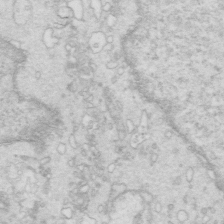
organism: Mouse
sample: Multiciliated cells